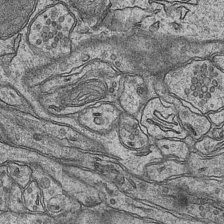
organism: Mouse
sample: CA1 Hippocampus